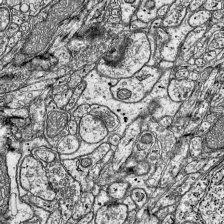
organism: Mouse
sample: Visual Cortex